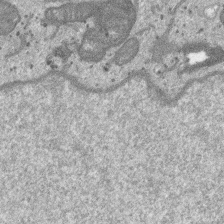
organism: Human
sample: Lung epithelial cells infected with SARS-CoV-2